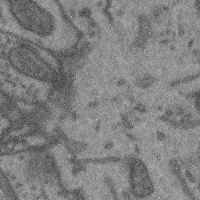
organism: Mouse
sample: Cerebral cortex